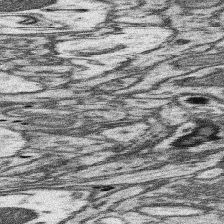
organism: Mouse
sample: Somatosensory cortex neuropil